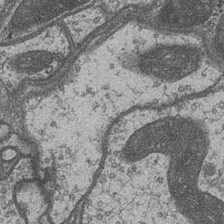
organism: Drosophila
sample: Optic medulla